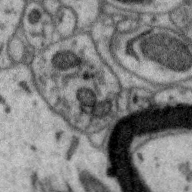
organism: Zebra finch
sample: Brain